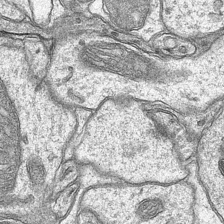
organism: Mouse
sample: CA1 Hippocampus